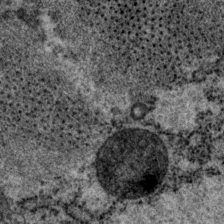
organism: P. pacificus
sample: Pharynx